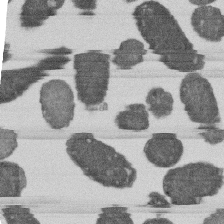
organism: E. coli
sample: Bacterial nucleoid